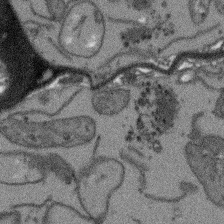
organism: Arabidopsis thaliana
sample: Root tip